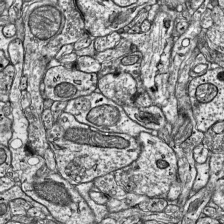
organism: Mouse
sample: Visual Cortex